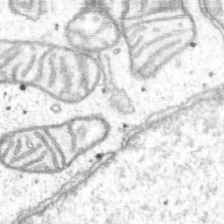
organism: Human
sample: HeLa cells